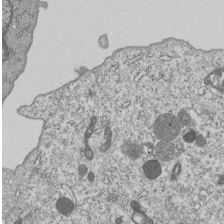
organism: Human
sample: MDA-MB-231 cells